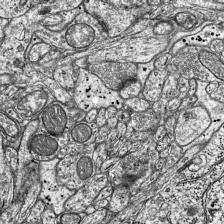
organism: Mouse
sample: Visual Cortex